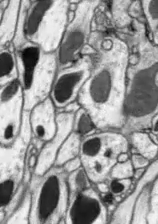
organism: Drosophila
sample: Optic lobe